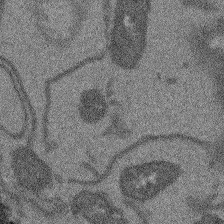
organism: Arabidopsis thaliana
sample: Root tip